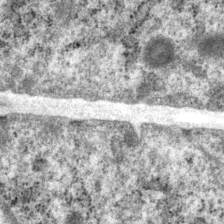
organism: P. pacificus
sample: Pharynx